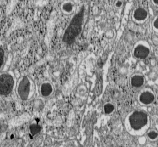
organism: C57BL Mouse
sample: Pancreatic islet